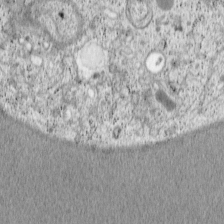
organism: African green monkey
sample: COS-7 cells